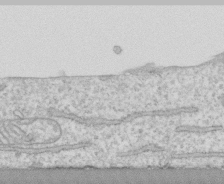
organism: Human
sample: CRL-1474